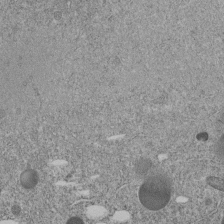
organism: C. elegans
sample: C. elegans embryo early stage